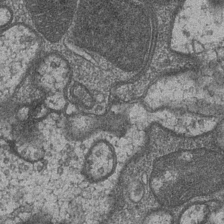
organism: Drosophila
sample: Optic medulla